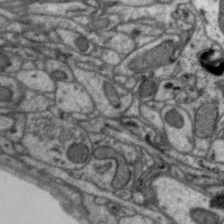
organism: Zebra finch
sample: Brain